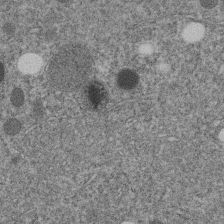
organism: C. elegans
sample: C. elegans embryo early stage